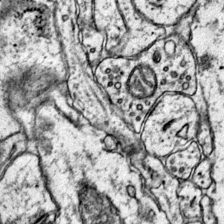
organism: Mouse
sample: Primary visual cortex